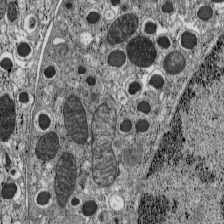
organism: C57BL Mouse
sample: Pancreatic islet